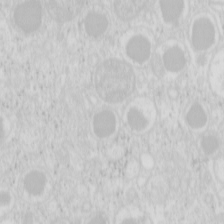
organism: Mouse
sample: Pancreas